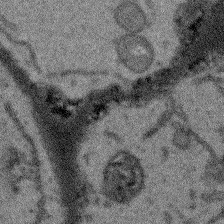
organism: Arabidopsis thaliana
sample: Root tip